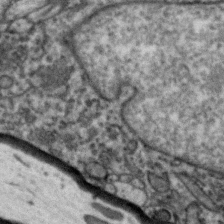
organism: Zebra finch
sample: Brain